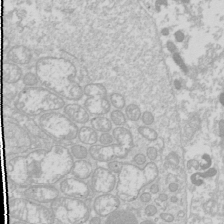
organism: Drosophila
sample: Cell division; meiosis; drosophila spermatocytes